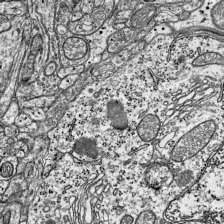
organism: Mouse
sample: Visual Cortex